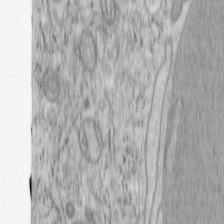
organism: Human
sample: HeLa cells